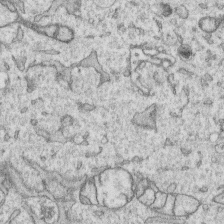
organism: Human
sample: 1205lu cells